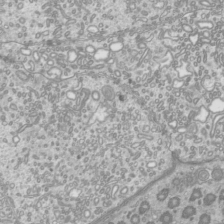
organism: Mouse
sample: Cilia; mouse epididymis